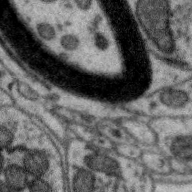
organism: Zebra finch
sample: Brain